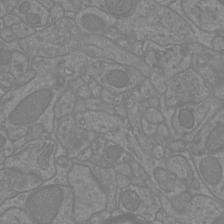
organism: Mouse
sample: Cortical neurons